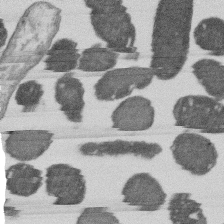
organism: E. coli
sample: Bacterial nucleoid